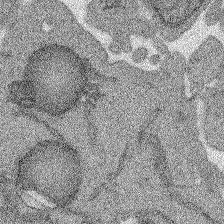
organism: Human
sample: HeLa cells